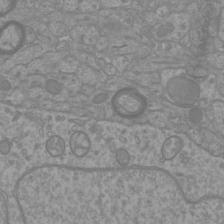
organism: Mouse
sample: Cortical neurons